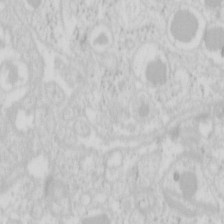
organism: Mouse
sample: Pancreas